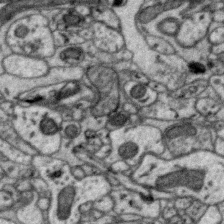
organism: Zebra finch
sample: Brain